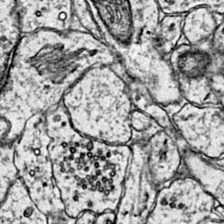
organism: Mouse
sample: Primary visual cortex